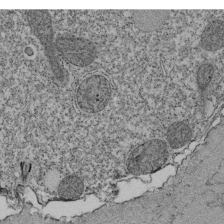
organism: Tetrahymena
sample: Cilia in tetrahymena